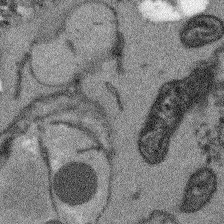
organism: Arabidopsis thaliana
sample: Root tip